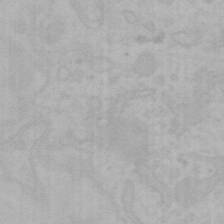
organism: Mouse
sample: Choroid plexus